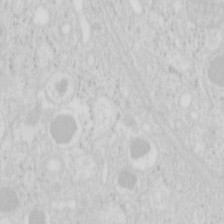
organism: Mouse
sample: Pancreas